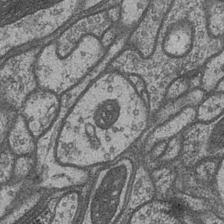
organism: Drosophila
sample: Optic medulla